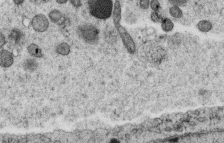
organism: C. elegans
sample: C. elegans oocyte; sperm cells